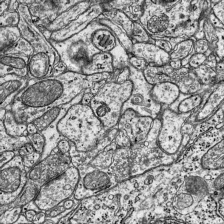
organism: Mouse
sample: Visual Cortex